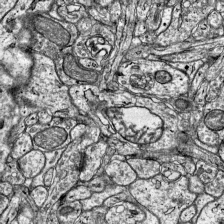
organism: Mouse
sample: Visual Cortex